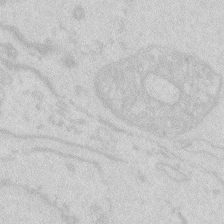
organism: Zebrafish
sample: Macrophage